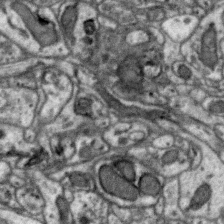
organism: Zebra finch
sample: Brain